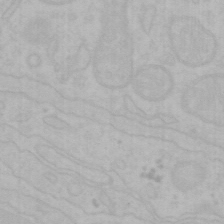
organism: Mouse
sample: Choroid plexus